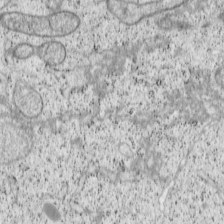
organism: African green monkey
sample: COS-7 cells